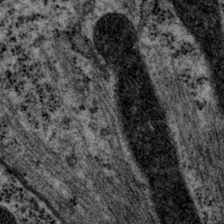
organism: P. pacificus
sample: Pharynx